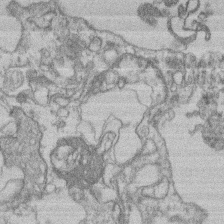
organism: Mouse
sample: T cell stromal cell synapse